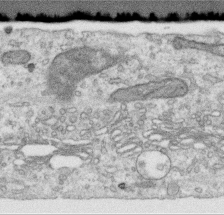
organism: Human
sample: Centriole in RPE cells